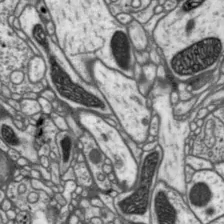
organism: Drosophila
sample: Protocerebral bridge